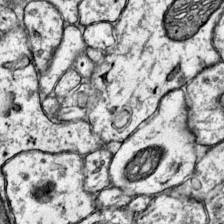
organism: Mouse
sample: Primary visual cortex